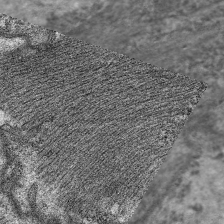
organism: C. elegans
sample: Pharynx